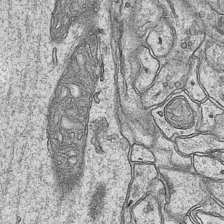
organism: Mouse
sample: CA1 Hippocampus